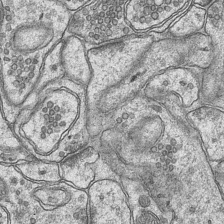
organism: Mouse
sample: CA1 Hippocampus